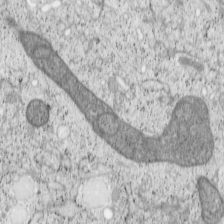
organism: African green monkey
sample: COS-7 cells